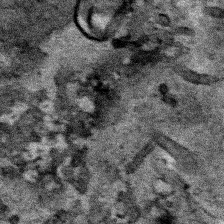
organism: Human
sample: Mitochondria in HCT116 cells